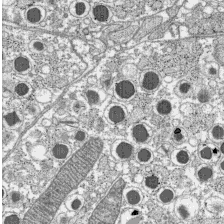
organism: C57BL Mouse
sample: Pancreatic islet